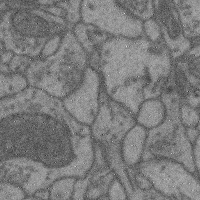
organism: Mouse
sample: Cerebral cortex